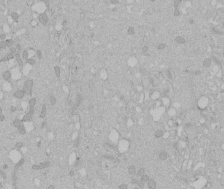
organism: Human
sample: Melanocyte Keratinocyte synapse skin construct